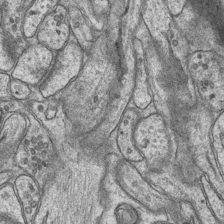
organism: Mouse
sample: CA1 Hippocampus